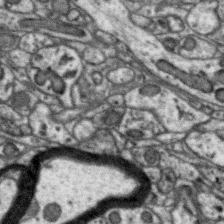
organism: Zebra finch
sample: Brain